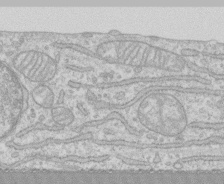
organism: Human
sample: CRL-1474